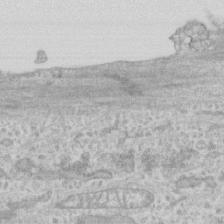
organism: Human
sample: CRL-1474